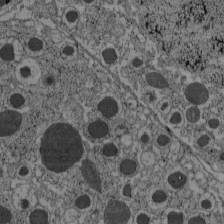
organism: C57BL Mouse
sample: Pancreatic islet